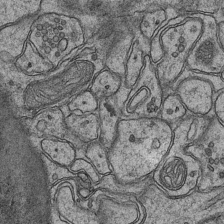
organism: Mouse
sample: CA1 Hippocampus